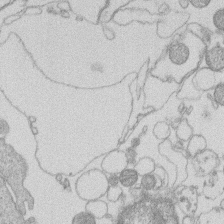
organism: Human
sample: Macrophage cells